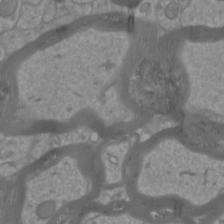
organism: Mouse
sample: Cortical neurons